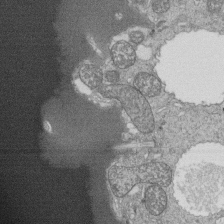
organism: Tetrahymena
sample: Cilia in tetrahymena